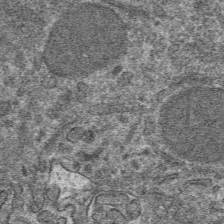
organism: Mouse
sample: Mouse hepatocytes